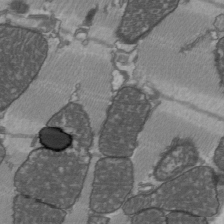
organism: C57BL Mouse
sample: Heart